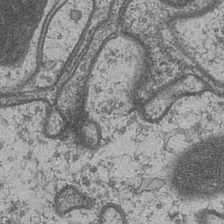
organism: Drosophila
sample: Optic medulla